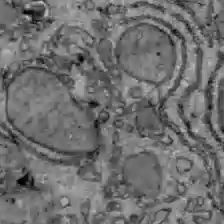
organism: C57BL Mouse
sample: Liver